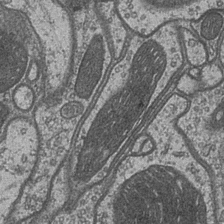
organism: Drosophila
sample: Optic medulla